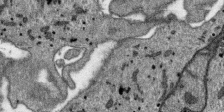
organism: Human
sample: Lung epithelial cells, uninfected (mock) control